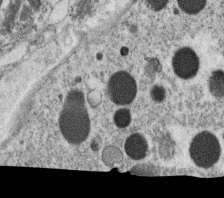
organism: C. elegans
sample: C. elegans oocyte; sperm cells